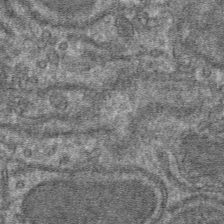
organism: Mouse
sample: Mouse hepatocytes